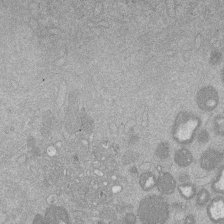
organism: Mouse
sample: Dividing mouse embryo 1 cell stage